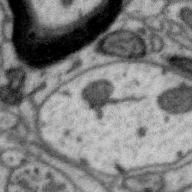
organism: Zebra finch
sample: Brain